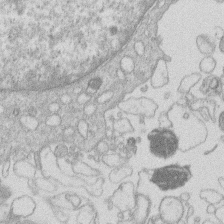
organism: Human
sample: Macrophage cells